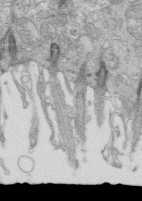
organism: Mouse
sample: Multiciliated cells